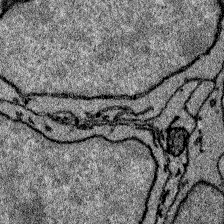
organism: Zebrafish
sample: Larval olfactory bulb